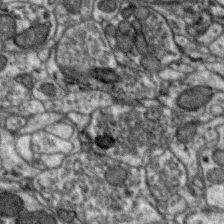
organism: Zebra finch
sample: Brain